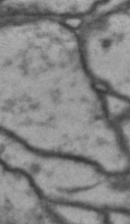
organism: Drosophila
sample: Brain